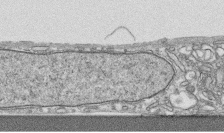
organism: Human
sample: CRL-1474